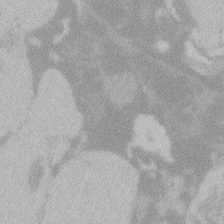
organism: Zebrafish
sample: Macrophage infected with Toxoplasma gondii